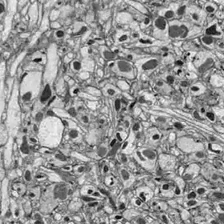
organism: Drosophila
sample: Optic lobe